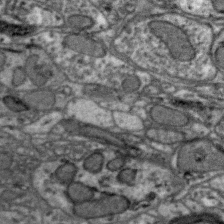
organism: Zebra finch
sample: Brain